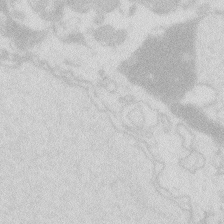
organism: Zebrafish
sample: Macrophage